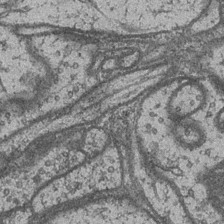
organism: Drosophila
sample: Optic medulla